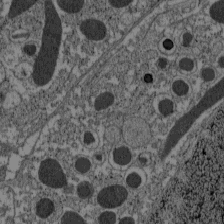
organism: C57BL Mouse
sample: Pancreatic islet